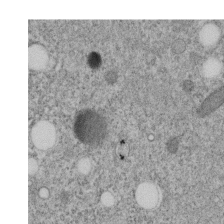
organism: C. elegans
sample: C. elegans embryo early stage